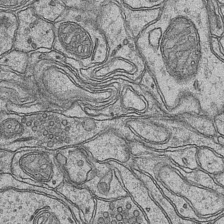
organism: Mouse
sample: CA1 Hippocampus